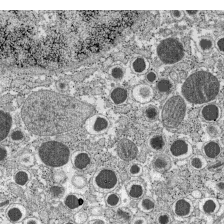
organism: C57BL Mouse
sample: Pancreatic islet